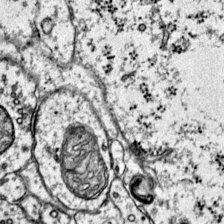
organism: Mouse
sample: Primary visual cortex